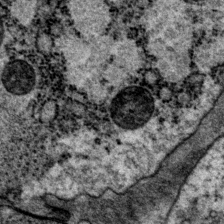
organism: P. pacificus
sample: Pharynx